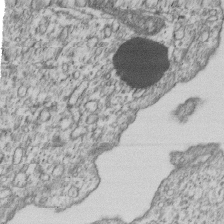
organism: Human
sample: MDA-MB-231 cells